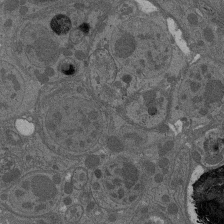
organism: Drosophila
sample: Antenna